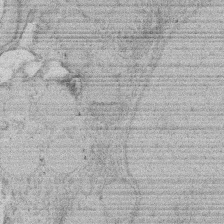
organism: Rat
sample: Salivary granule